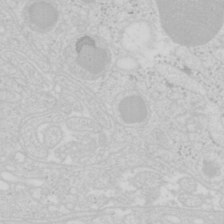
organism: Mouse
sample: Pancreas